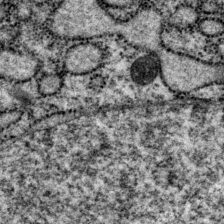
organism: P. pacificus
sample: Pharynx